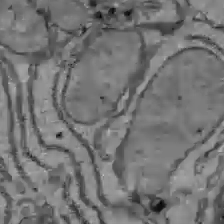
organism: C57BL Mouse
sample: Liver